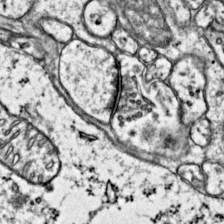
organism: Mouse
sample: Primary visual cortex